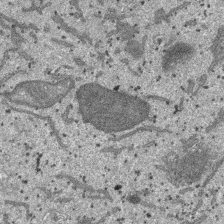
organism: Human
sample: Lung epithelial cells infected with SARS-CoV-2